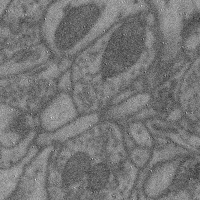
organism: Mouse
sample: Cerebral cortex